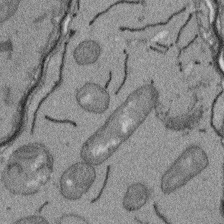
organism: Arabidopsis thaliana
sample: Root tip